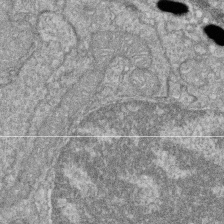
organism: Zebrafish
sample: Cilia; retinal pigment epithelium